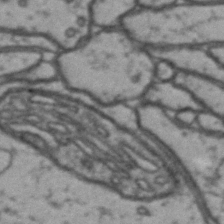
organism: Drosophila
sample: Brain